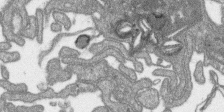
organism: Human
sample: Lung epithelial cells infected with SARS-CoV-2